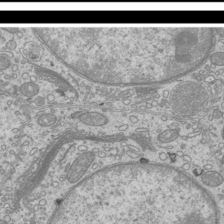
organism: Mouse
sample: Cilia; mouse epididymis